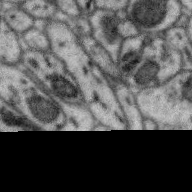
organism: Zebra finch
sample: Brain